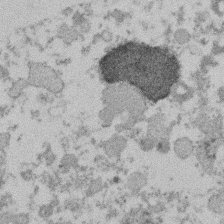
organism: Mouse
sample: Dividing mouse embryo 1 cell stage